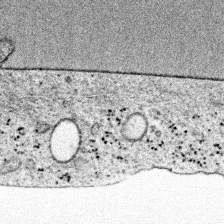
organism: Human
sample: HeLa cells